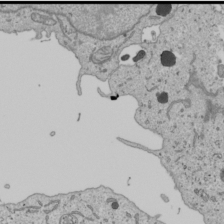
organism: Human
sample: Mitochondria in U2OS cells